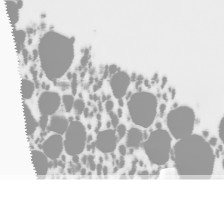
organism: Human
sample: THP-1 cells